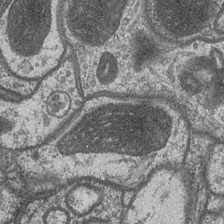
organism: Drosophila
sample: Optic medulla